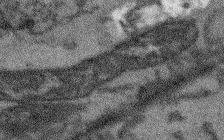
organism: Arabidopsis thaliana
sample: Root tip